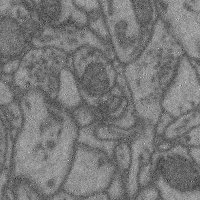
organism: Mouse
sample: Cerebral cortex